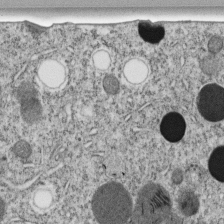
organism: C. elegans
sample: C. elegans embryo early stage